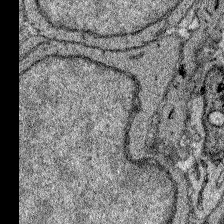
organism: Zebrafish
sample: Larval olfactory bulb